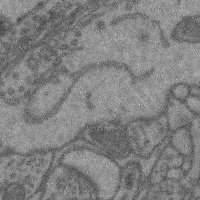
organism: Mouse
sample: Cerebral cortex